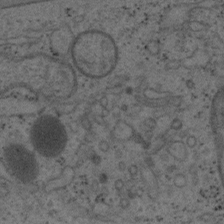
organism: Human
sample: HeLa cells